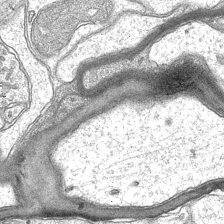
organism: Mouse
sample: CA1 Hippocampus